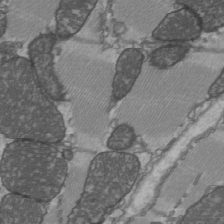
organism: C57BL Mouse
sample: Heart